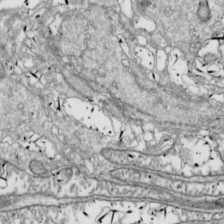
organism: Drosophila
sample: Cell division; meiosis; drosophila spermatocytes